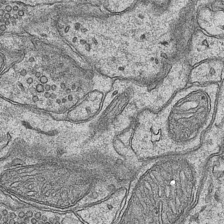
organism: Mouse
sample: CA1 Hippocampus